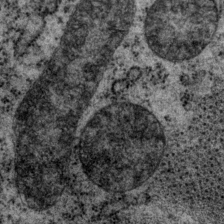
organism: P. pacificus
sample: Pharynx